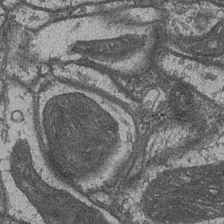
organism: Drosophila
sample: Optic medulla